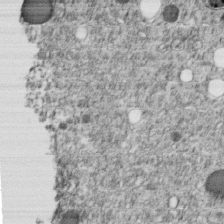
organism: C. elegans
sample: C. elegans embryo early stage